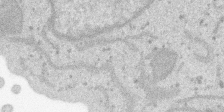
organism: Human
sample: Lung epithelial cells infected with SARS-CoV-2